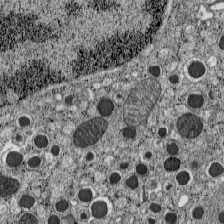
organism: C57BL Mouse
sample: Pancreatic islet